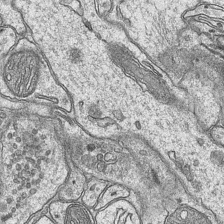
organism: Mouse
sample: CA1 Hippocampus